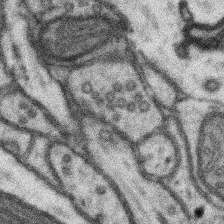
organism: Mouse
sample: Somatosensory cortex neuropil